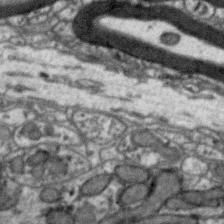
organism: Zebra finch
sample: Brain